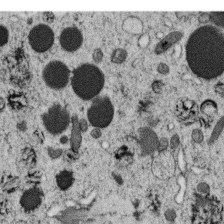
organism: C. elegans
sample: C. elegans oocyte; sperm cells